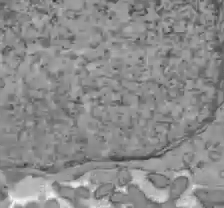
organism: C57BL Mouse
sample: Liver